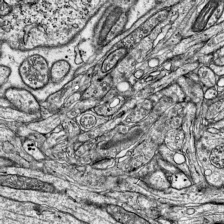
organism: Mouse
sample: Visual Cortex